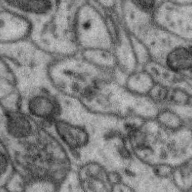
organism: Zebra finch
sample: Brain